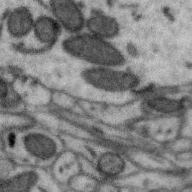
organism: Zebra finch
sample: Brain